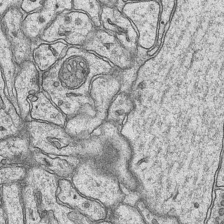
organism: Mouse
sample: CA1 Hippocampus